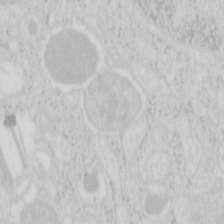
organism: Mouse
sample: Pancreas